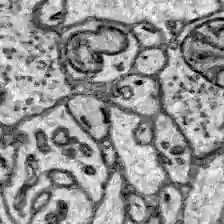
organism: Zebrafish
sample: Brain